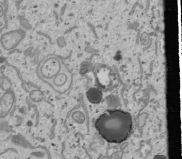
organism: Human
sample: Mitochondria in U2OS cells